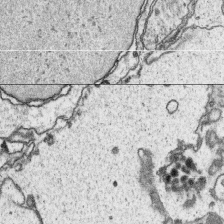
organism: Platynereis dumerilii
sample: Parapodia